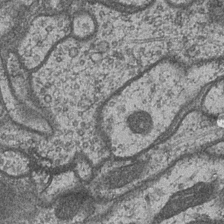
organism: Drosophila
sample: Optic medulla